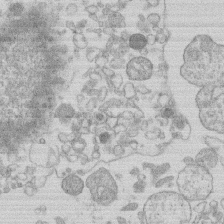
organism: Human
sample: Macrophage cells